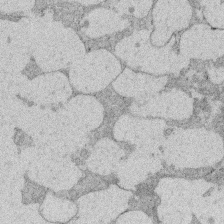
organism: Rat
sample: Salivary granule